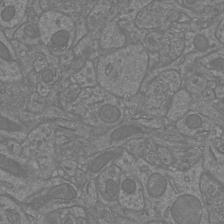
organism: Mouse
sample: Cortical neurons